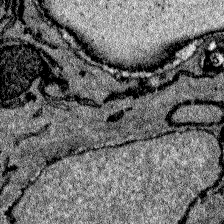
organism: Zebrafish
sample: Larval olfactory bulb